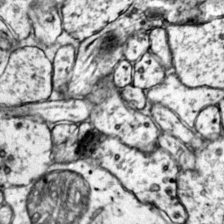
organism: Mouse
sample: Primary visual cortex